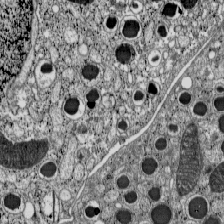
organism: C57BL Mouse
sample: Pancreatic islet